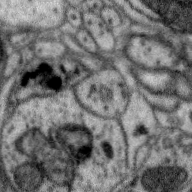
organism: Zebra finch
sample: Brain